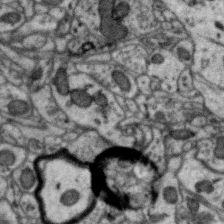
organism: Zebra finch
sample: Brain